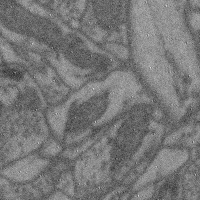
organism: Mouse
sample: Cerebral cortex